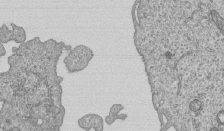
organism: Human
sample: MDA-MB-231 cells